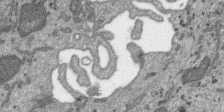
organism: Human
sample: Lung epithelial cells infected with SARS-CoV-2